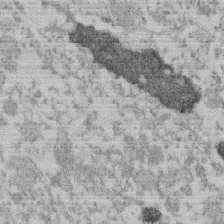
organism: Mouse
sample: Dividing mouse embryo 1 cell stage